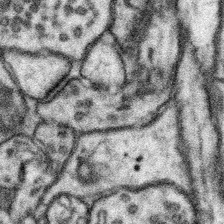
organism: Mouse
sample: Somatosensory cortex neuropil